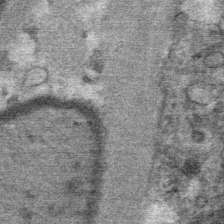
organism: Mouse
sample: Mouse Salivary gland